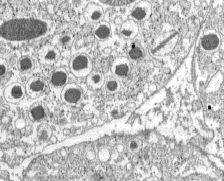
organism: C57BL Mouse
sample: Pancreatic islet